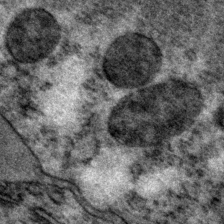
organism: P. pacificus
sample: Pharynx